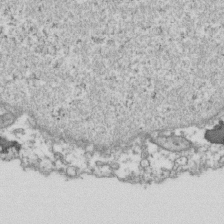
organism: Human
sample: Activated Jurkat CD4+ T cells